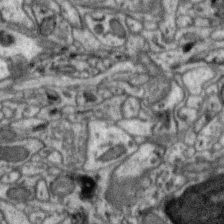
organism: Zebra finch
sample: Brain